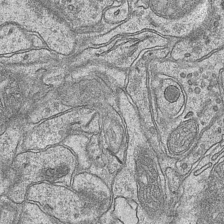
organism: Mouse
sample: CA1 Hippocampus